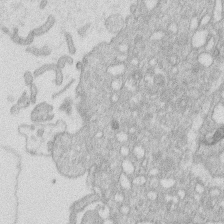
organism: Human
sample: Macrophage cells